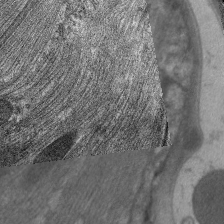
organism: C. elegans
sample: Pharynx